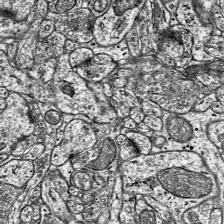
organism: Mouse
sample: Visual Cortex